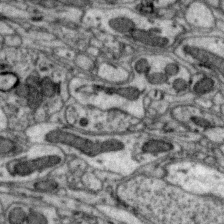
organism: Zebra finch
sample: Brain